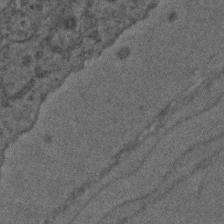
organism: C. elegans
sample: C. elegans embryo